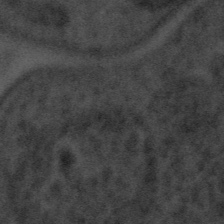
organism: Tuwongella immobilis